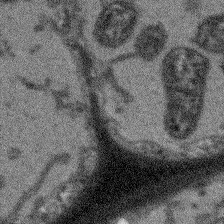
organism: Arabidopsis thaliana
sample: Root tip